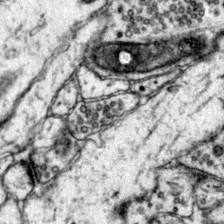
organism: Mouse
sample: Primary visual cortex